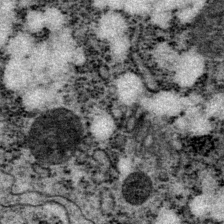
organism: P. pacificus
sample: Pharynx